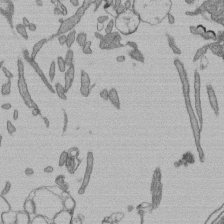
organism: Human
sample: Retinal organoid Rod and Cone cells